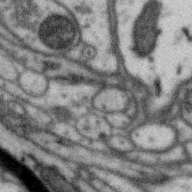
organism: Zebra finch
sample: Brain